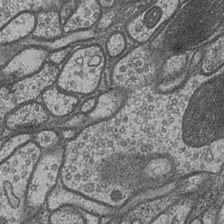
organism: Drosophila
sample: Optic medulla